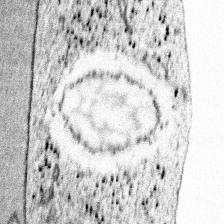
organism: Human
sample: HeLa cells